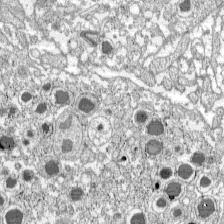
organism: C57BL Mouse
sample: Pancreatic islet